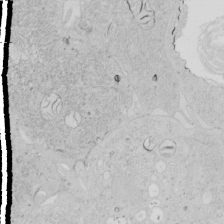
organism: Human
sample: Mitochondria in HCT116 cells